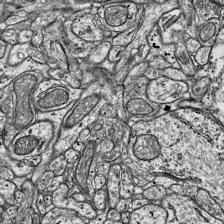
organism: Mouse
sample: Visual Cortex